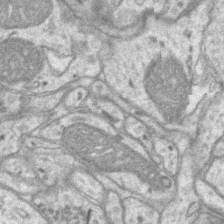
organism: Mouse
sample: CA1 Hippocampus